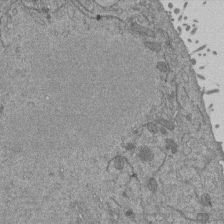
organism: Mouse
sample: ED-1 cell nuclei; centrioles